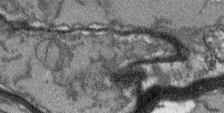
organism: Arabidopsis thaliana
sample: Root tip